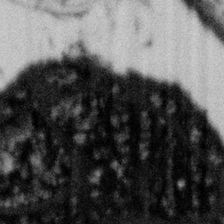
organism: Gemmata obscuriglobus